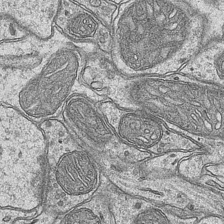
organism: Mouse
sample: CA1 Hippocampus